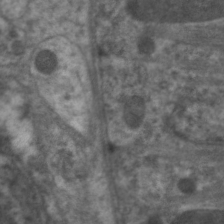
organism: C. elegans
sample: Pharynx